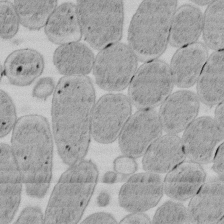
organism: E. coli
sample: Bacterial nucleoid